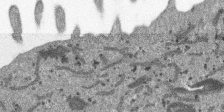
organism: Human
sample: Lung epithelial cells infected with SARS-CoV-2